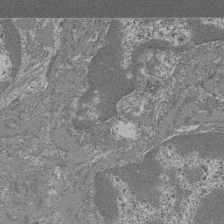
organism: Mouse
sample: Glomerulus